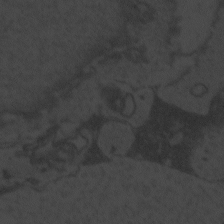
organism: Zebrafish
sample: Macrophage infected with Toxoplasma gondii